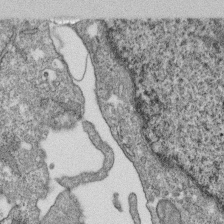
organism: African green monkey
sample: Vero E6 cells infected with SARS-CoV-2